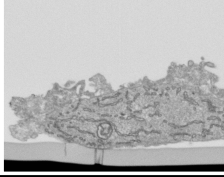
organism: Human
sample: Mitochondria in HCT116 cells